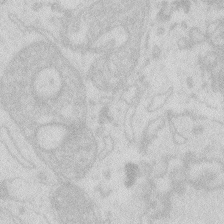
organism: Zebrafish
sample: Macrophage